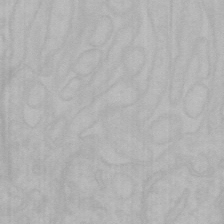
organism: Mouse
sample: Choroid plexus